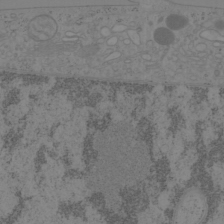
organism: Human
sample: HeLa cells